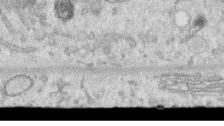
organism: Human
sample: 1205lu cells